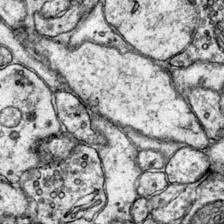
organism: Mouse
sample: Primary visual cortex